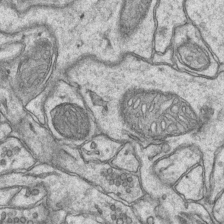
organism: Mouse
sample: CA1 Hippocampus